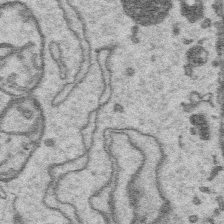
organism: Platynereis dumerilii